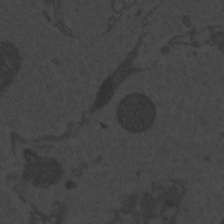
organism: Zebrafish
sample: Macrophage infected with Toxoplasma gondii